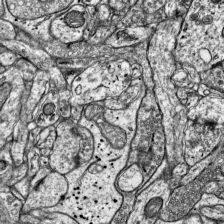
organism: Mouse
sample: Visual Cortex